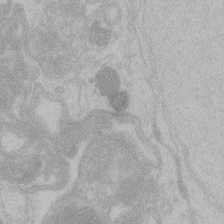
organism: Zebrafish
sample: Macrophage infected with Toxoplasma gondii